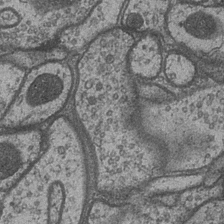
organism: Drosophila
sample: Optic medulla